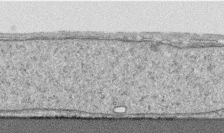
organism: Human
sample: CRL-1474